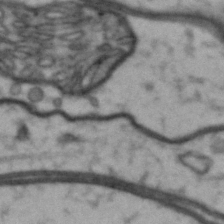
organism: Drosophila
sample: Brain